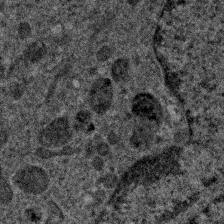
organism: Human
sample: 1205lu cells